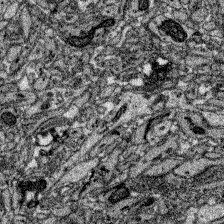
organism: Zebrafish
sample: Larval olfactory bulb